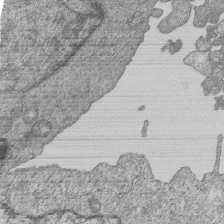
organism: Human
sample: MDA-MB-231 cells